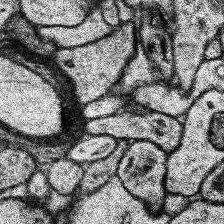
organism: Human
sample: Temporal Lobe